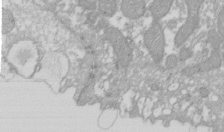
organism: Xenopus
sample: Cilia; centrioles in frog embryo cells